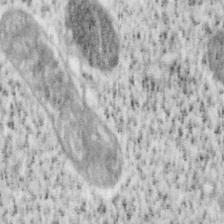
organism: Mouse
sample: OT-I killer T cells with ID8 ovarian cancer cells